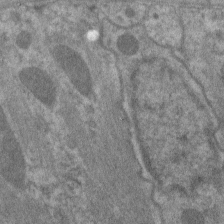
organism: C. elegans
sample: Pharynx